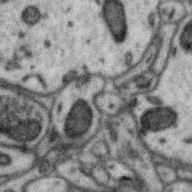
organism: Zebra finch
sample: Brain